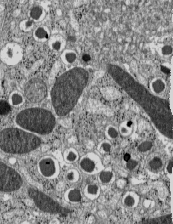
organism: C57BL Mouse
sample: Pancreatic islet